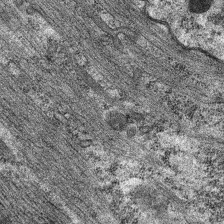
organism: C. elegans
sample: Pharynx